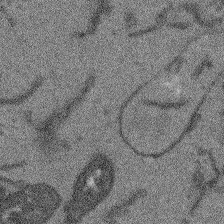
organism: Arabidopsis thaliana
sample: Root tip